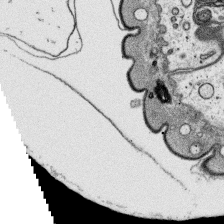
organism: Platynereis dumerilii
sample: Parapodia